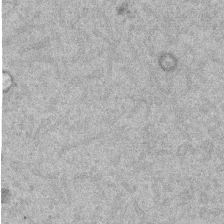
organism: Mouse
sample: Dividing mouse embryo 1 cell stage